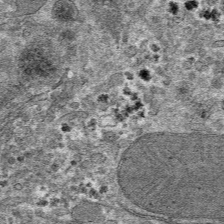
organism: Mouse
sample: Mouse hepatocytes